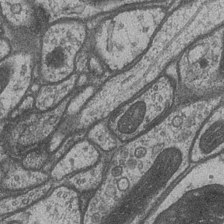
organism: Drosophila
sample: Optic medulla